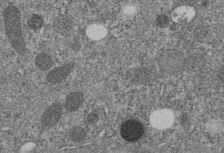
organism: C. elegans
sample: C. elegans embryo early stage